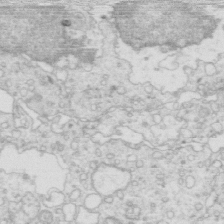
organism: Mouse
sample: Multiciliated cells